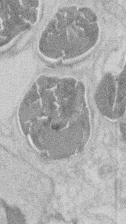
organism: Mouse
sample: T cell stromal cell synapse